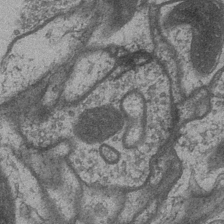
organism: Drosophila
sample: Optic medulla